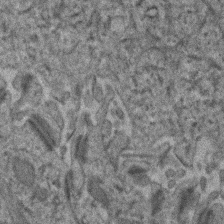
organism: Human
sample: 1205lu cells